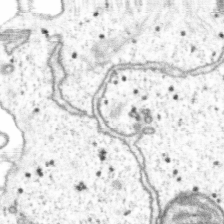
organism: Human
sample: HeLa cells